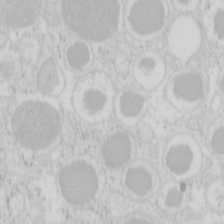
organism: Mouse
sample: Pancreas